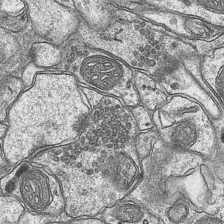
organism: Mouse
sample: CA1 Hippocampus